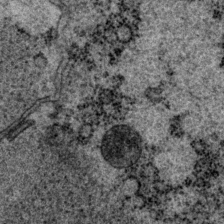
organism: P. pacificus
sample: Pharynx